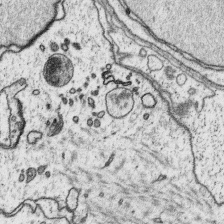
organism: Platynereis dumerilii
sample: Parapodia